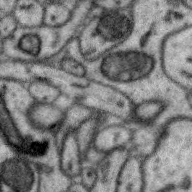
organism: Zebra finch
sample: Brain